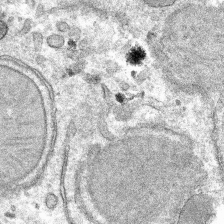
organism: Mouse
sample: Mouse hepatocytes